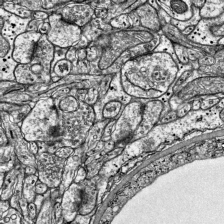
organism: Mouse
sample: Visual Cortex